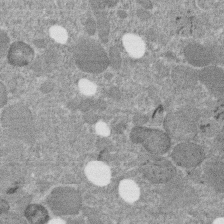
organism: C. elegans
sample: C. elegans embryo early stage